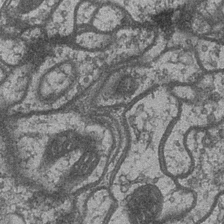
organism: Drosophila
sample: Optic medulla